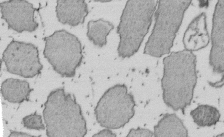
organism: E. coli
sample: Bacterial nucleoid